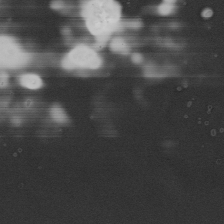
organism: Mouse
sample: Cilia; mouse epididymis